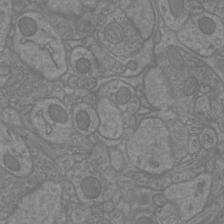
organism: Mouse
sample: Cortical neurons